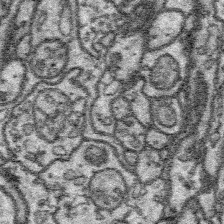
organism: Platynereis dumerilii